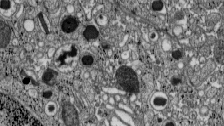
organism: C57BL Mouse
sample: Pancreatic islet